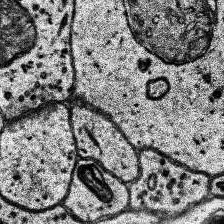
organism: Human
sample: Temporal Lobe